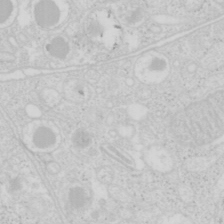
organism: Mouse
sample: Pancreas